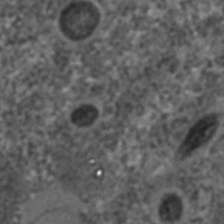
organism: C. elegans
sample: C. elegans embryo